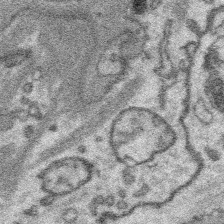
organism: Platynereis dumerilii